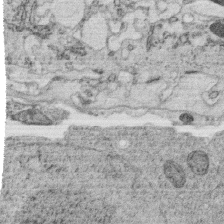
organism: C. elegans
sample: C. elegans oocyte; sperm cells